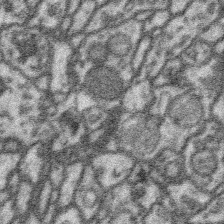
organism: Platynereis dumerilii